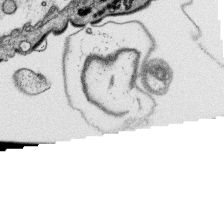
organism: Platynereis dumerilii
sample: Parapodia